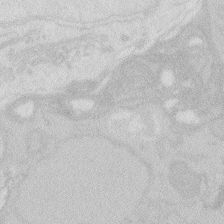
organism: Zebrafish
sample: Macrophage